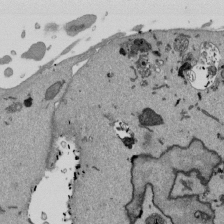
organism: Mouse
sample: ED-1 cell nuclei; centrioles